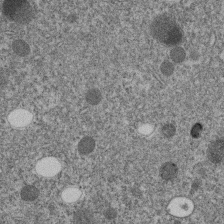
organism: C. elegans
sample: C. elegans embryo early stage